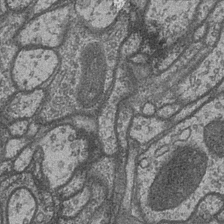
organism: Drosophila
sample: Optic medulla